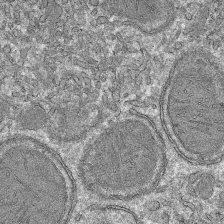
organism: Mouse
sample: Mouse hepatocytes